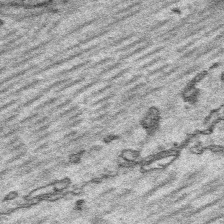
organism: Platynereis dumerilii